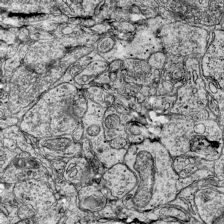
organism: Mouse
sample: Visual Cortex